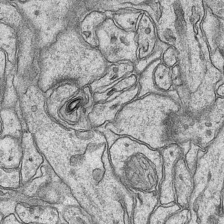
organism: Mouse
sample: CA1 Hippocampus